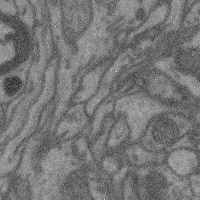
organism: Mouse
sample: Cerebral cortex